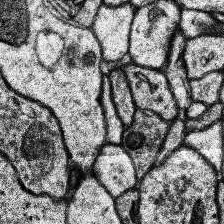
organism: Human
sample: Temporal Lobe